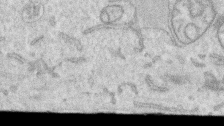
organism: Human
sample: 1205lu cells